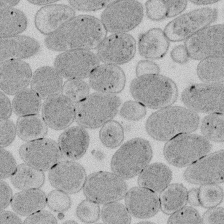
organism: E. coli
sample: Bacterial nucleoid